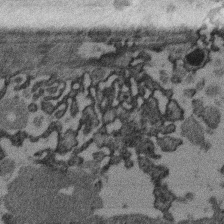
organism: Mouse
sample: Dividing mouse embryo 1 cell stage